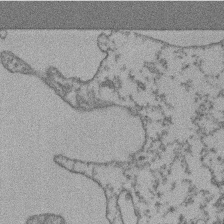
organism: Mouse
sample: T cell stromal cell synapse